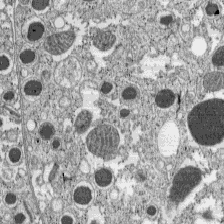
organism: C57BL Mouse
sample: Pancreatic islet